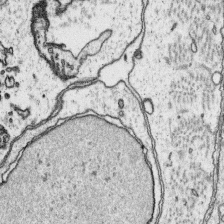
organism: Platynereis dumerilii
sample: Parapodia